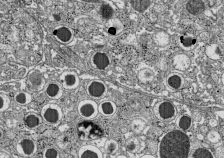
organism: C57BL Mouse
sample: Pancreatic islet